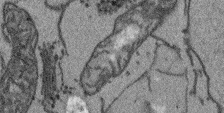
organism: Arabidopsis thaliana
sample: Root tip